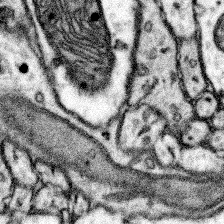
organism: Mouse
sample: Somatosensory cortex neuropil